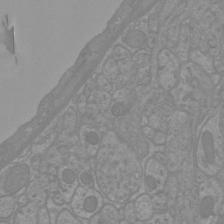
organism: Mouse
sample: Cortical neurons